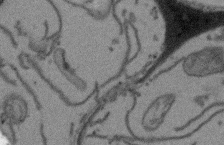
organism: Arabidopsis thaliana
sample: Root tip